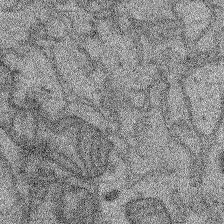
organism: Human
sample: HeLa cells